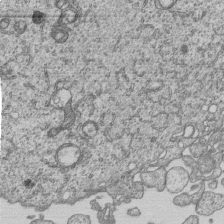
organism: Human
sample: MDA-MB-231 cells